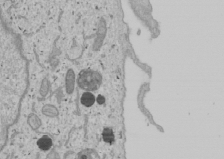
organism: Human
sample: Mitochondria in U2OS cells